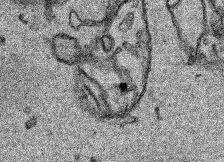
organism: Human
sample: Mitochondria in HCT116 cells